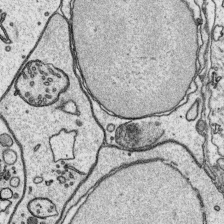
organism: Platynereis dumerilii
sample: Parapodia